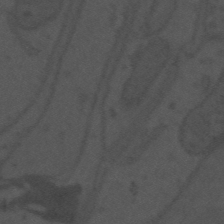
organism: Mouse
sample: Suprachiasmatic nucleus